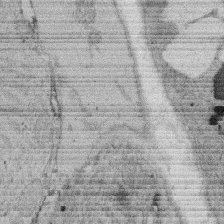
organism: Rat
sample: Salivary granule